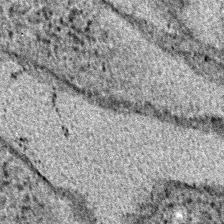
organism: E. coli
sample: E. Coli Bacteria